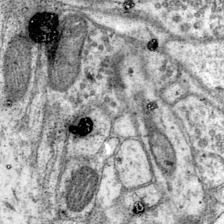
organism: Mouse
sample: Primary visual cortex